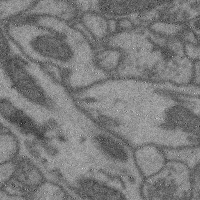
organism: Mouse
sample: Cerebral cortex